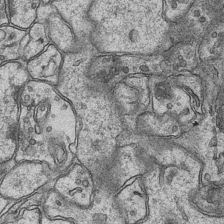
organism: Mouse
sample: CA1 Hippocampus